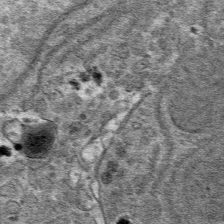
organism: Mouse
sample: Mouse hepatocytes